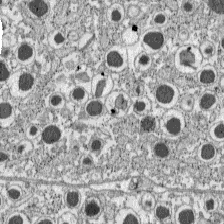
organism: C57BL Mouse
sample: Pancreatic islet